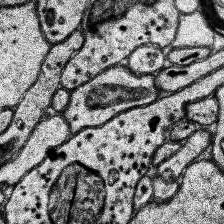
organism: Human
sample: Temporal Lobe